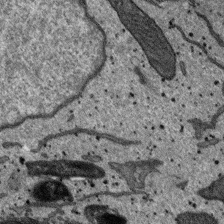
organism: Human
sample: Lung epithelial cells, uninfected (mock) control